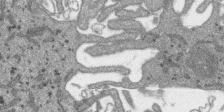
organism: Human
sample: Lung epithelial cells infected with SARS-CoV-2